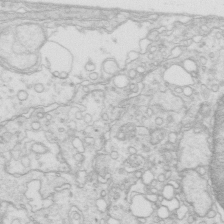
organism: Mouse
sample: Multiciliated cells